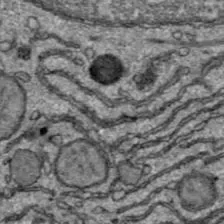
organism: C57BL Mouse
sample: Liver